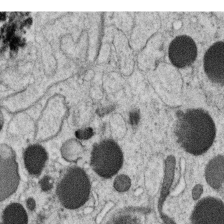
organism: C. elegans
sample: C. elegans oocyte; sperm cells